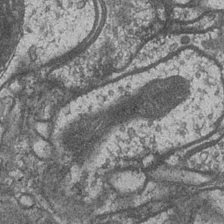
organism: Drosophila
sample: Optic medulla